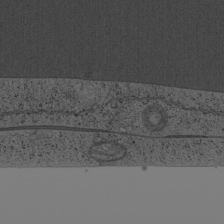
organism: African green monkey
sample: COS-7 cells